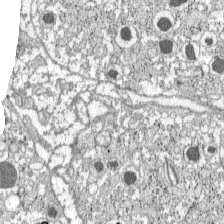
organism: C57BL Mouse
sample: Pancreatic islet